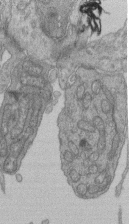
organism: Human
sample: Retinal organoid Rod and Cone cells